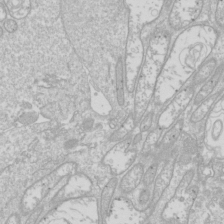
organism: Drosophila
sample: Cell division; meiosis; drosophila spermatocytes